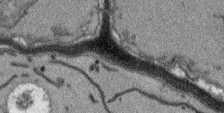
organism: Arabidopsis thaliana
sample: Root tip